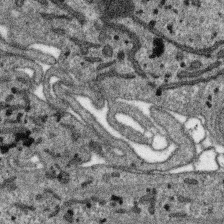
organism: Human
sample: Lung epithelial cells infected with SARS-CoV-2